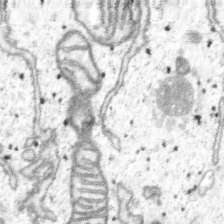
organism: Human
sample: HeLa cells